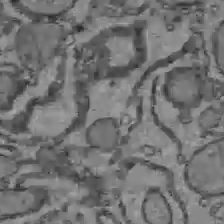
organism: C57BL Mouse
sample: Liver